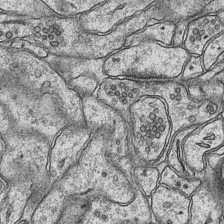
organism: Mouse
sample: CA1 Hippocampus